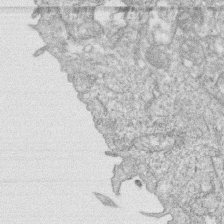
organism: Human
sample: HeLa cell HIV synapse